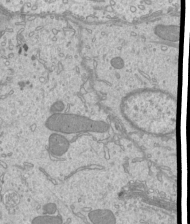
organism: Mouse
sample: Cilia; mouse epididymis